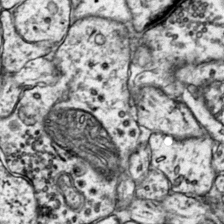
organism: Mouse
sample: Primary visual cortex